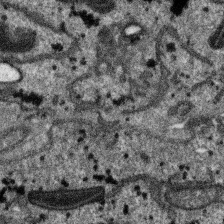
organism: Human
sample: Lung epithelial cells infected with SARS-CoV-2